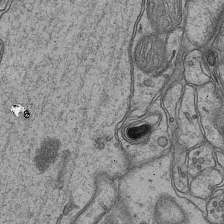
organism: Mouse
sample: CA1 Hippocampus